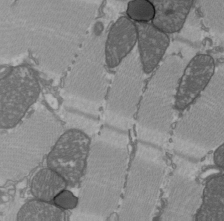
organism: C57BL Mouse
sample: Heart